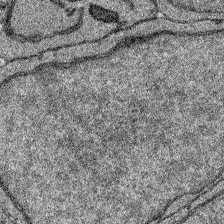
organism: Zebrafish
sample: Larval olfactory bulb